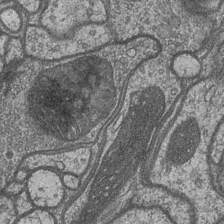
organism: Drosophila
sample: Optic medulla